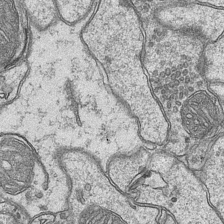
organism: Mouse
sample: CA1 Hippocampus